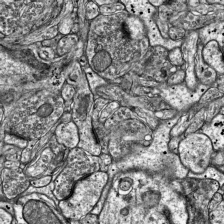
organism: Mouse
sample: Visual Cortex